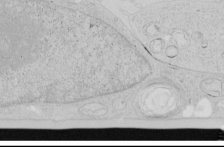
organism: Human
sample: Mitochondria in HCT116 cells